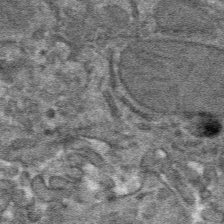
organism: Mouse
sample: Mouse hepatocytes